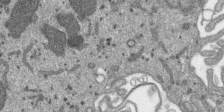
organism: Human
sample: Lung epithelial cells infected with SARS-CoV-2